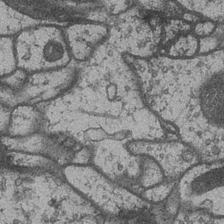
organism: Drosophila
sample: Optic medulla